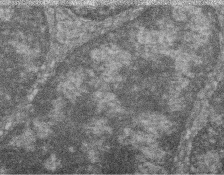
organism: Zebrafish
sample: Cilia; retinal pigment epithelium